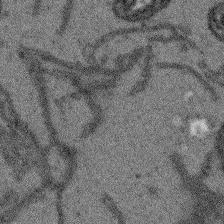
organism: Arabidopsis thaliana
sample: Root tip